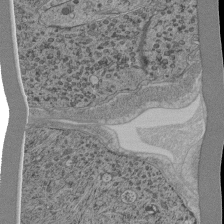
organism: C. elegans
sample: C. elegans pharynx